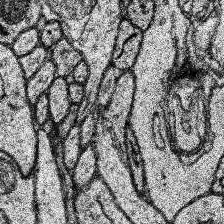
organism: Human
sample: Temporal Lobe